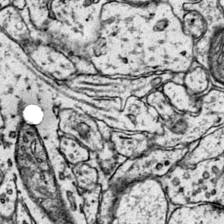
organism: Mouse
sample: Primary visual cortex